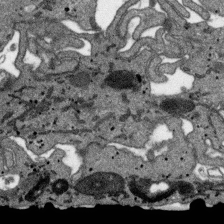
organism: Human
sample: Lung epithelial cells, uninfected (mock) control